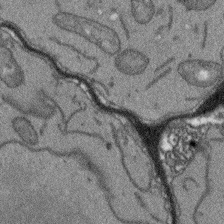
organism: Arabidopsis thaliana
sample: Root tip